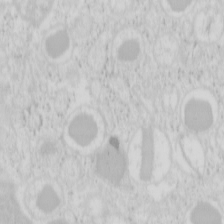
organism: Mouse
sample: Pancreas